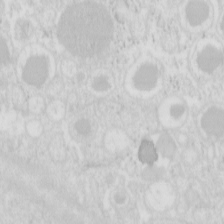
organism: Mouse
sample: Pancreas